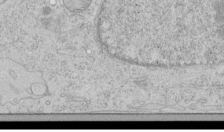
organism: Human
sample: Mitochondria in HCT116 cells